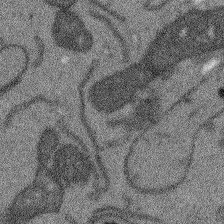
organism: Arabidopsis thaliana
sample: Root tip